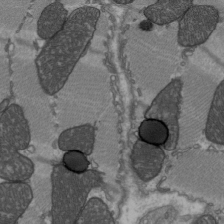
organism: C57BL Mouse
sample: Heart